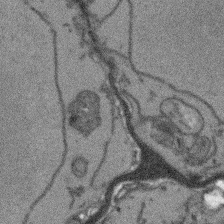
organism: Arabidopsis thaliana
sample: Root tip